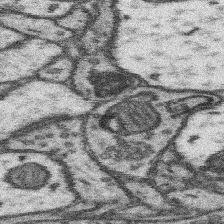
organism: Mouse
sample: Somatosensory cortex neuropil